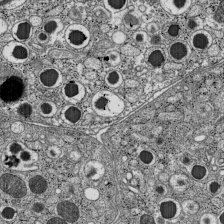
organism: C57BL Mouse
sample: Pancreatic islet